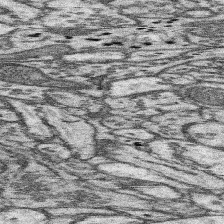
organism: Mouse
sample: Somatosensory cortex neuropil